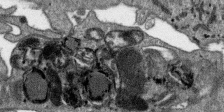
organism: Human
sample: Lung epithelial cells, uninfected (mock) control